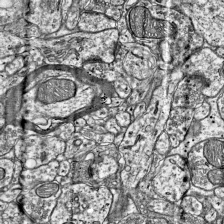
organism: Mouse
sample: Visual Cortex